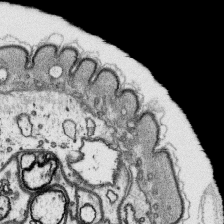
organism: Platynereis dumerilii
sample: Parapodia